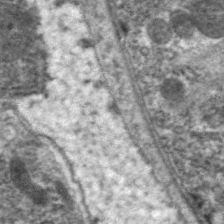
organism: C. elegans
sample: Pharynx